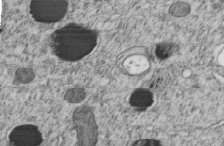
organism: C. elegans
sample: C. elegans embryo early stage